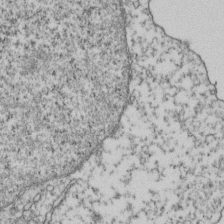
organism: Human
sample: Activated Jurkat CD4+ T cells